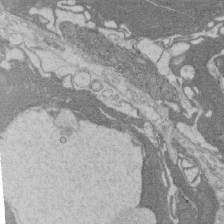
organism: Rat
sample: Salivary granule